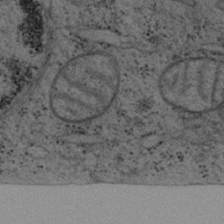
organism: Human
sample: HeLa cells